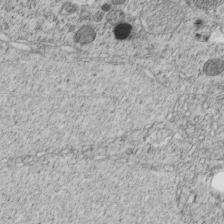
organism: C. elegans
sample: C. elegans embryo early stage